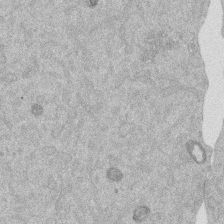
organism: Mouse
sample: Dividing mouse embryo 1 cell stage